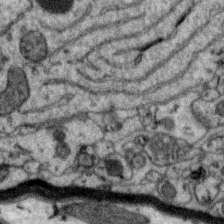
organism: Zebra finch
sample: Brain